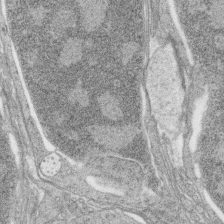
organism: Zebrafish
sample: synaptic ribbons in rod cells and cone cells